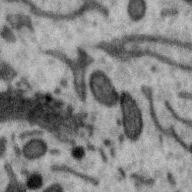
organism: Zebra finch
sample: Brain